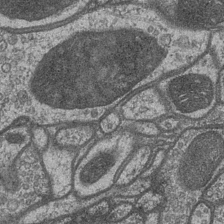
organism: Drosophila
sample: Optic medulla